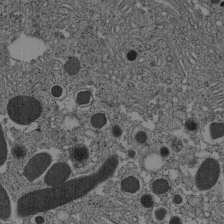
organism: C57BL Mouse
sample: Pancreatic islet